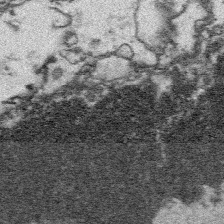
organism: Platynereis dumerilii